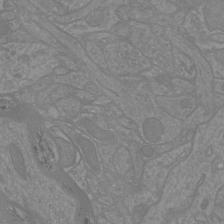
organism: Mouse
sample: Cortical neurons